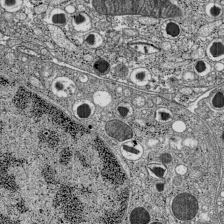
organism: C57BL Mouse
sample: Pancreatic islet